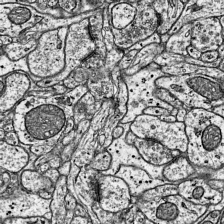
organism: Mouse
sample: Visual Cortex